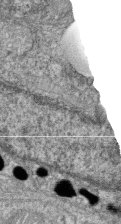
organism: Zebrafish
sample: Cilia; retinal pigment epithelium